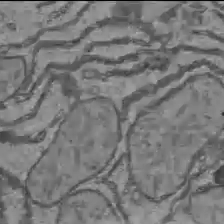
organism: C57BL Mouse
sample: Liver